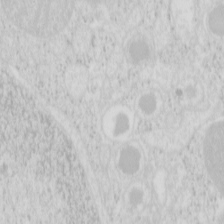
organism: Mouse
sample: Pancreas